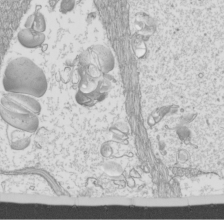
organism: Mouse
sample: Cilia; mouse epididymis